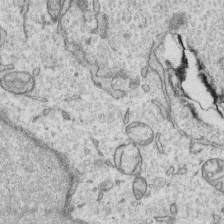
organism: Human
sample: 1205lu cells